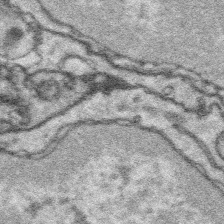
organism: Platynereis dumerilii